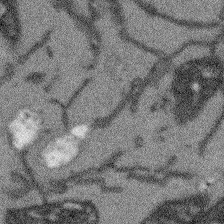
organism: Arabidopsis thaliana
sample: Root tip